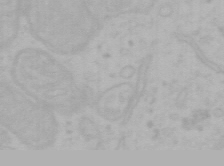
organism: Mouse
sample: Choroid plexus